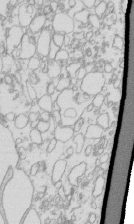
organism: Mouse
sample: Macrophages